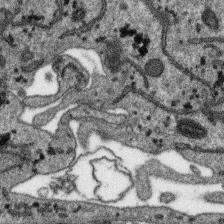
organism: Human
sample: Lung epithelial cells infected with SARS-CoV-2